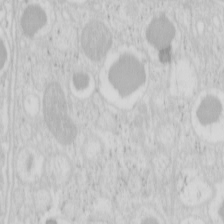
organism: Mouse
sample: Pancreas